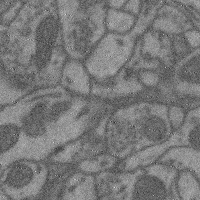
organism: Mouse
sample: Cerebral cortex